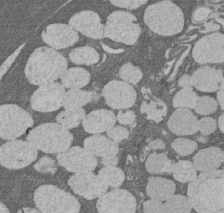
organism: Rat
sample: Salivary granule